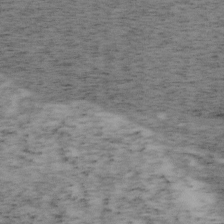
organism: Mouse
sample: OT-I killer T cells with ID8 ovarian cancer cells